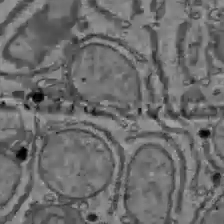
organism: C57BL Mouse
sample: Liver